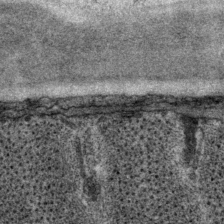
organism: P. pacificus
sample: Pharynx